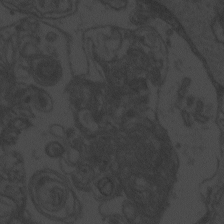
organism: Zebrafish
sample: Macrophage infected with Toxoplasma gondii